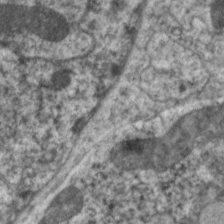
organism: C. elegans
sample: Pharynx